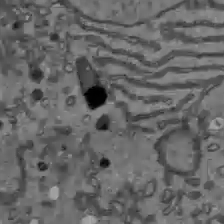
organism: C57BL Mouse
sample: Liver